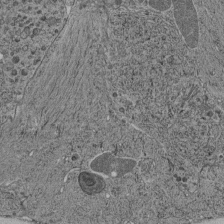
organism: C. elegans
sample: C. elegans pharynx